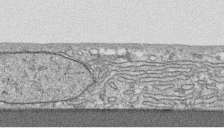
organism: Human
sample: CRL-1474